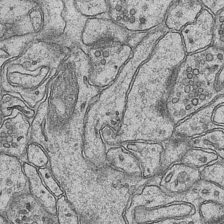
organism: Mouse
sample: CA1 Hippocampus